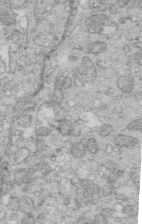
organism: Mouse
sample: Multiciliated cells